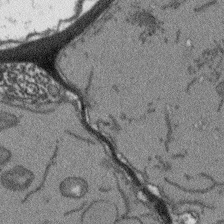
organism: Arabidopsis thaliana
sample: Root tip